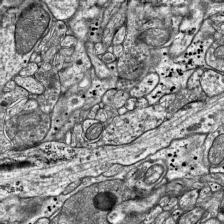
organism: Mouse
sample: Visual Cortex